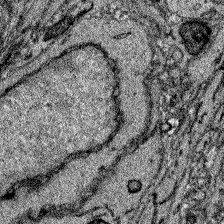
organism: Zebrafish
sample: Larval olfactory bulb